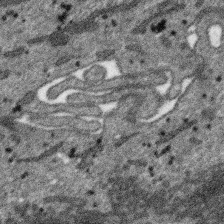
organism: Human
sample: Lung epithelial cells infected with SARS-CoV-2